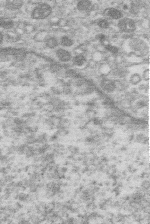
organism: Human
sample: Macrophage cells